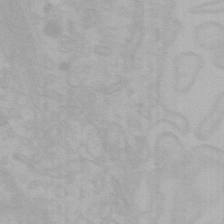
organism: Mouse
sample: Choroid plexus